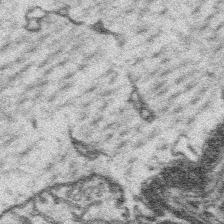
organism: Platynereis dumerilii